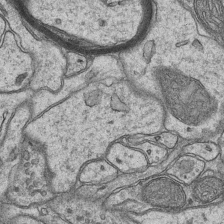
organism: Mouse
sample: CA1 Hippocampus